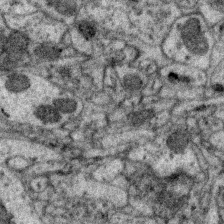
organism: Zebra finch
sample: Brain